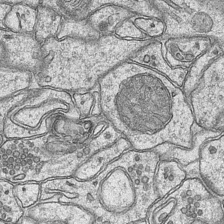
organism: Mouse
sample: CA1 Hippocampus